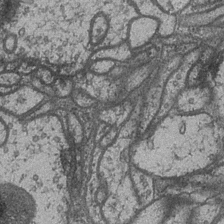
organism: Drosophila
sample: Optic medulla